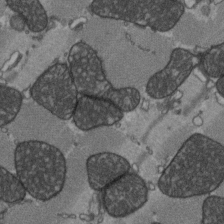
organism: C57BL Mouse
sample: Heart